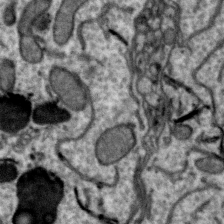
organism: Zebra finch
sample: Brain